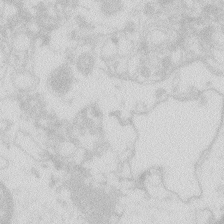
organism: Zebrafish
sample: Macrophage